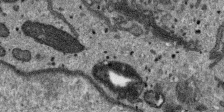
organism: Human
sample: Lung epithelial cells, uninfected (mock) control